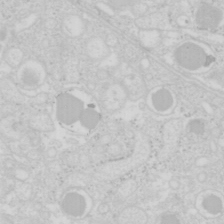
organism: Mouse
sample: Pancreas